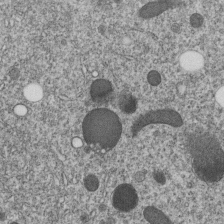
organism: C. elegans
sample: C. elegans embryo early stage